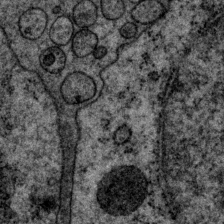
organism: P. pacificus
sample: Pharynx